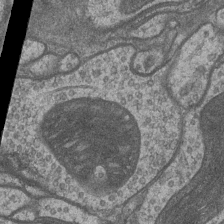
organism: Drosophila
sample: Optic medulla